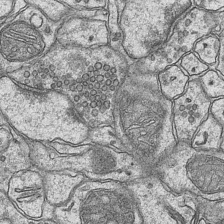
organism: Mouse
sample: CA1 Hippocampus